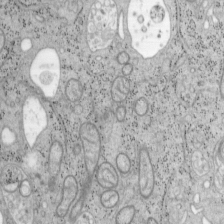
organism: Mouse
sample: OT-I killer T cells with ID8 ovarian cancer cells